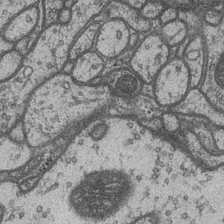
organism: Drosophila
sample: Optic medulla